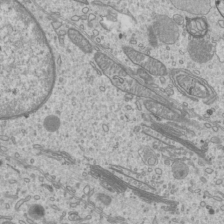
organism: Mouse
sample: Cilia; mouse epididymis